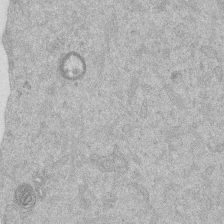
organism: Mouse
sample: Dividing mouse embryo 1 cell stage